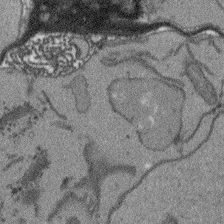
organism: Arabidopsis thaliana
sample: Root tip